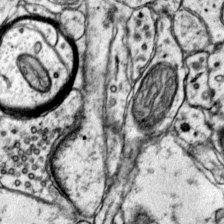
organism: Mouse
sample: Primary visual cortex